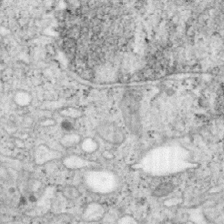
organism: Mouse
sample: OT-I killer T cells with ID8 ovarian cancer cells